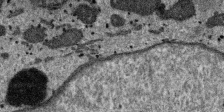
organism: Human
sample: Lung epithelial cells, uninfected (mock) control